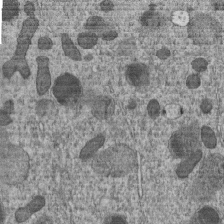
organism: C. elegans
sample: C. elegans embryo early stage